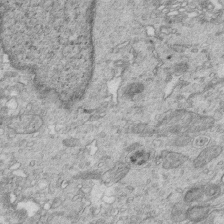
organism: Mouse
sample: Multiciliated cells